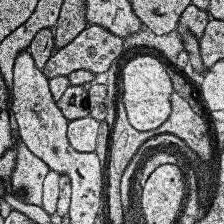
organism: Human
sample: Temporal Lobe